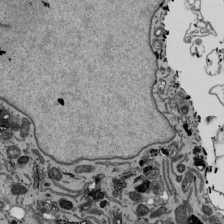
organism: Mouse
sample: ED-1 cell nuclei; centrioles